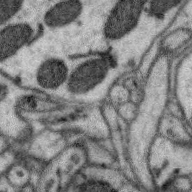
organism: Zebra finch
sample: Brain